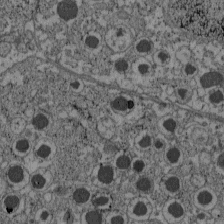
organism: C57BL Mouse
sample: Pancreatic islet